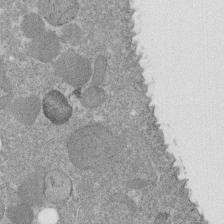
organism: C. elegans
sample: C. elegans embryo early stage